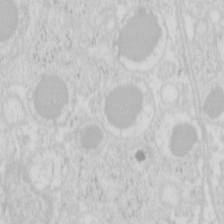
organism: Mouse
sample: Pancreas